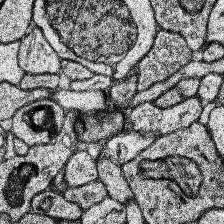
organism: Human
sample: Temporal Lobe